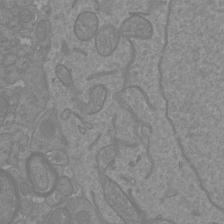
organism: Mouse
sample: Cortical neurons